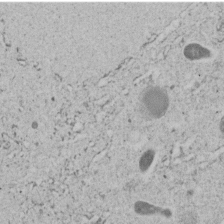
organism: C. elegans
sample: C. elegans embryo early stage